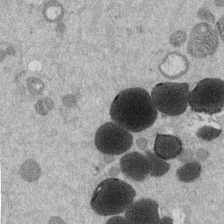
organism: Mouse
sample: Dividing mouse embryo 1 cell stage